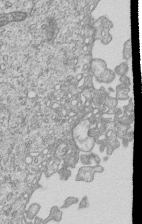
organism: Human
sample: MDA-MB-231 cells